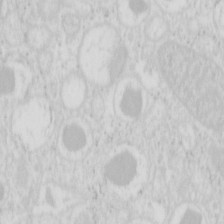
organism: Mouse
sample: Pancreas